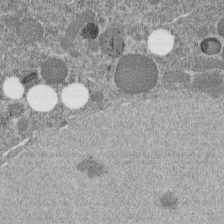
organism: C. elegans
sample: C. elegans embryo early stage